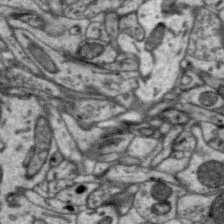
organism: Zebra finch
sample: Brain